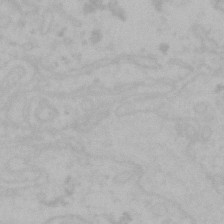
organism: Mouse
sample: Choroid plexus